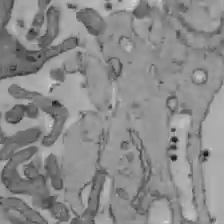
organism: C57BL Mouse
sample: Liver